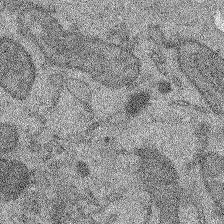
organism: Human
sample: HeLa cells